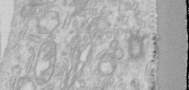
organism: Human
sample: Centriole in RPE cells